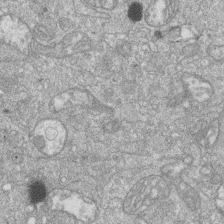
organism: Human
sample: HeLa cell HIV synapse